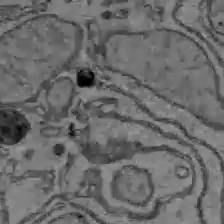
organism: C57BL Mouse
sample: Liver